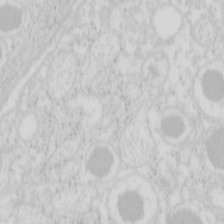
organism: Mouse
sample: Pancreas